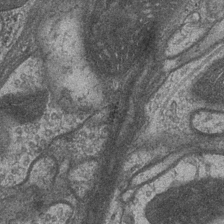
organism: Drosophila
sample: Optic medulla